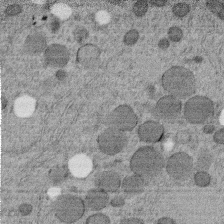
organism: C. elegans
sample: C. elegans embryo early stage